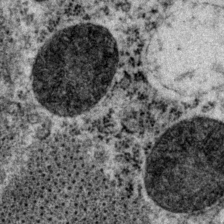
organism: P. pacificus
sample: Pharynx